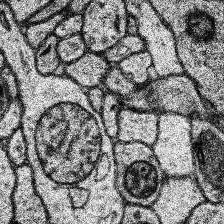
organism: Human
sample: Temporal Lobe